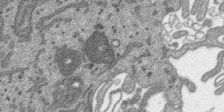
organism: Human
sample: Lung epithelial cells infected with SARS-CoV-2